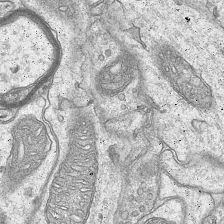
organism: Mouse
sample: CA1 Hippocampus